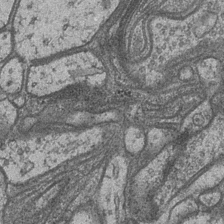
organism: Drosophila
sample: Optic medulla